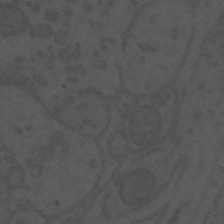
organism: Mouse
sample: Suprachiasmatic nucleus